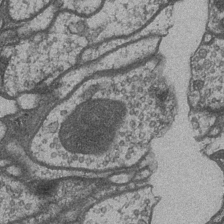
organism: Drosophila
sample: Optic medulla